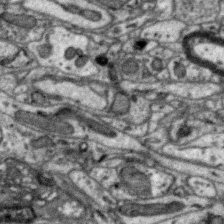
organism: Zebra finch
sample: Brain